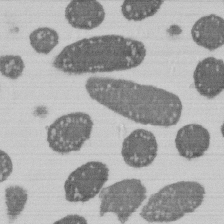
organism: E. coli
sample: Bacterial nucleoid